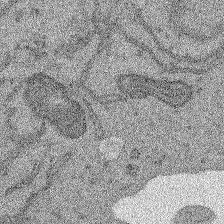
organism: Human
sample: HeLa cells